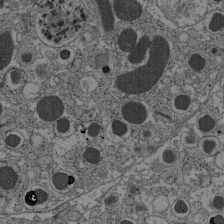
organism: C57BL Mouse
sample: Pancreatic islet